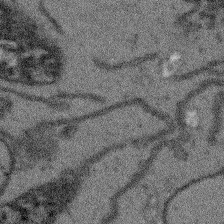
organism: Arabidopsis thaliana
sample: Root tip